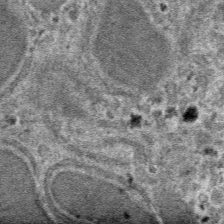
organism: Mouse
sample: Mouse hepatocytes